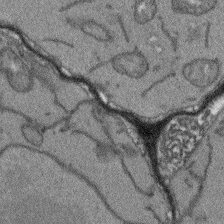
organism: Arabidopsis thaliana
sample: Root tip